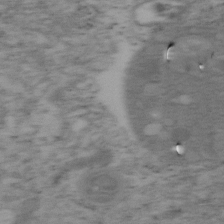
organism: Mouse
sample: OT-I killer T cells with ID8 ovarian cancer cells